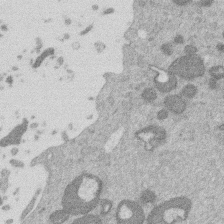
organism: Mouse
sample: Dividing mouse embryo 1 cell stage